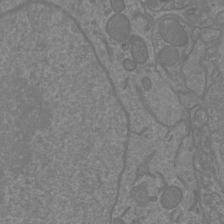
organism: Mouse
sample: Cortical neurons